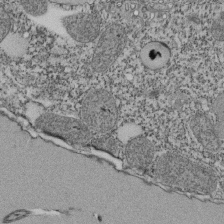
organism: Tetrahymena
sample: Cilia in tetrahymena